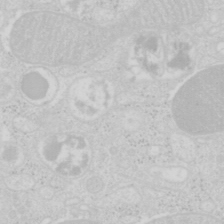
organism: Mouse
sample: Pancreas